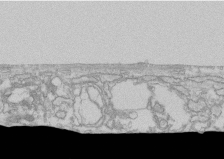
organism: Human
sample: CRL-1474